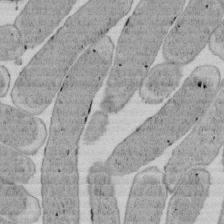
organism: E. coli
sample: Bacterial nucleoid